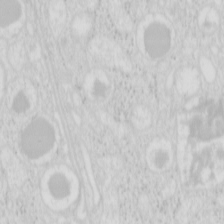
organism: Mouse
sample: Pancreas